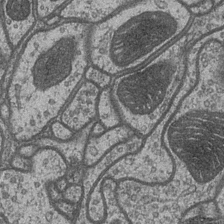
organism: Drosophila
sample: Optic medulla